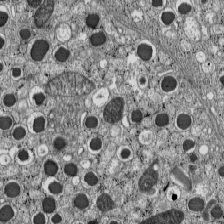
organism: C57BL Mouse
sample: Pancreatic islet